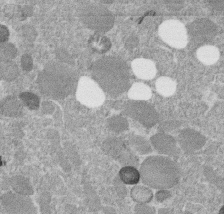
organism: C. elegans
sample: C. elegans embryo early stage